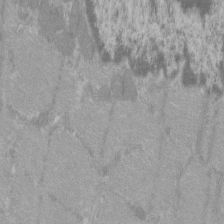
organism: C57BL Mouse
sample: Tibialis anterior muscle cell